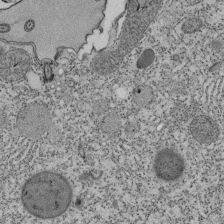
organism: Tetrahymena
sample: Cilia in tetrahymena